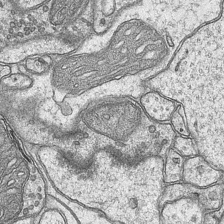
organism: Mouse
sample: CA1 Hippocampus